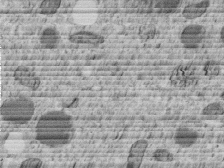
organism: C. elegans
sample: C. elegans embryo early stage